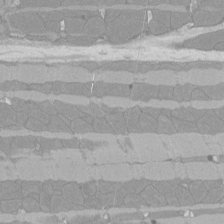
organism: Rat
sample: Left ventricle